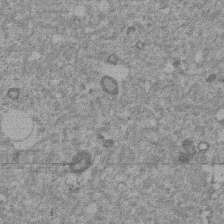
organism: Mouse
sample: Dividing mouse embryo 1 cell stage